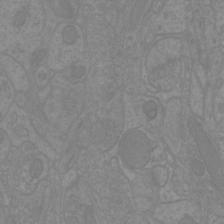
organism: Mouse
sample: Cortical neurons